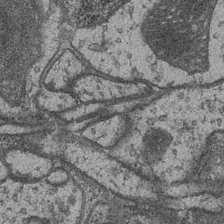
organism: Drosophila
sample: Optic medulla